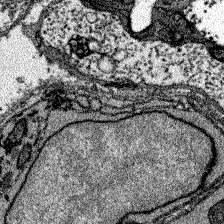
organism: Zebrafish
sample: Larval olfactory bulb